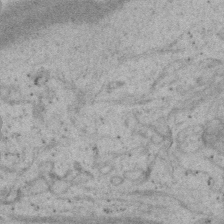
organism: Human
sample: HeLa cells